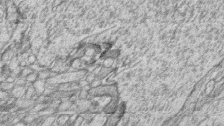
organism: Zebrafish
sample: synaptic ribbons in rod cells and cone cells